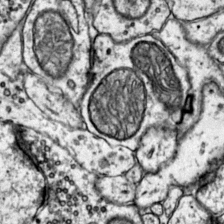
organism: Mouse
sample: Primary visual cortex